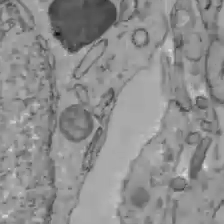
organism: C57BL Mouse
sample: Liver